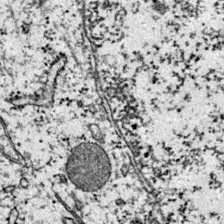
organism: Mouse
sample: Primary visual cortex